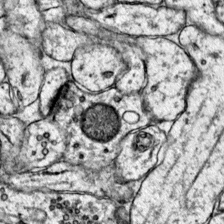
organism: Mouse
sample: Primary visual cortex